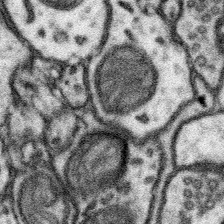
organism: Mouse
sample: Somatosensory cortex neuropil